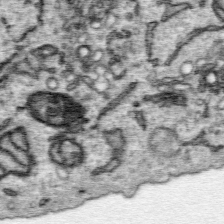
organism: Human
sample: HeLa cells